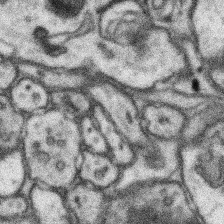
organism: Mouse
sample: Somatosensory cortex neuropil